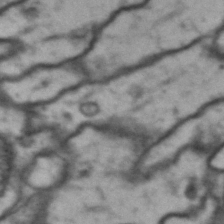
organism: Drosophila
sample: Brain